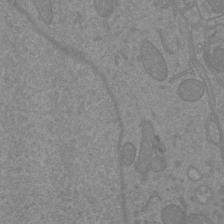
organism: Mouse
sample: Cortical neurons